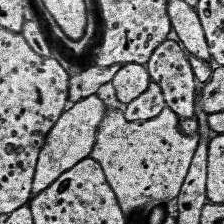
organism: Human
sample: Temporal Lobe